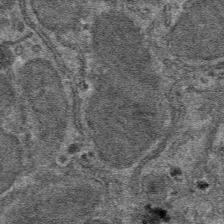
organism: Mouse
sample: Mouse hepatocytes